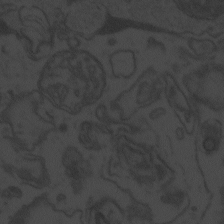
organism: Zebrafish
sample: Macrophage infected with Toxoplasma gondii